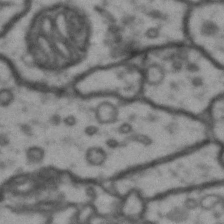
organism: Drosophila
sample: Brain